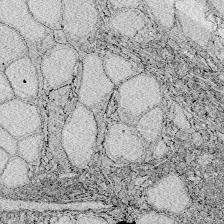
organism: Zebrafish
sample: Whole-Brain